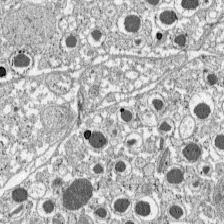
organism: C57BL Mouse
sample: Pancreatic islet